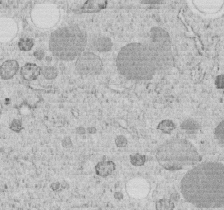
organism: C. elegans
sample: C. elegans embryo early stage